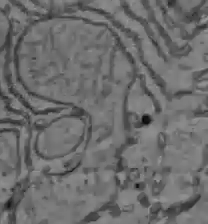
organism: C57BL Mouse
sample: Liver